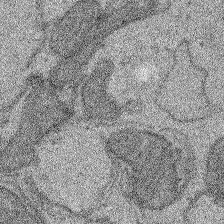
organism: Human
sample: HeLa cells